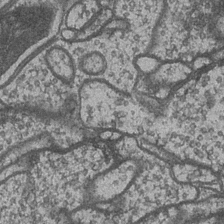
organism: Drosophila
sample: Optic medulla